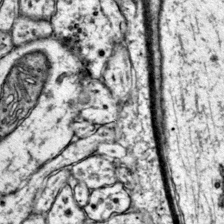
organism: Mouse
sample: Primary visual cortex